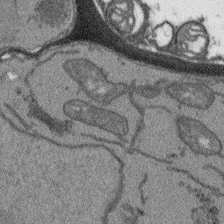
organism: Arabidopsis thaliana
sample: Root tip